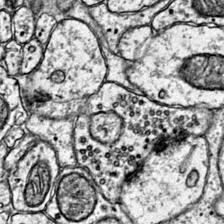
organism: Mouse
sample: Primary visual cortex